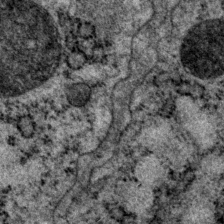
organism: P. pacificus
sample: Pharynx